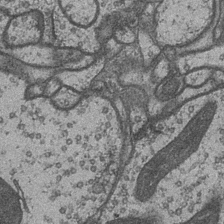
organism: Drosophila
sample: Optic medulla